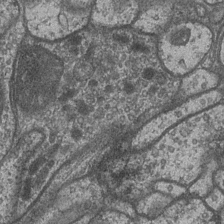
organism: Drosophila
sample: Optic medulla